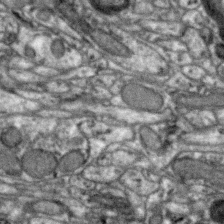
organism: Zebra finch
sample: Brain